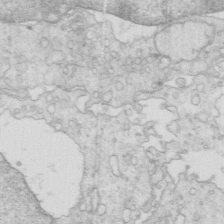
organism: Mouse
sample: Multiciliated cells